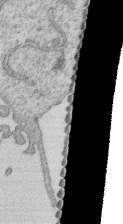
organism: Human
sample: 1205lu cells